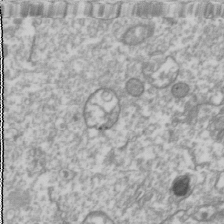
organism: Drosophila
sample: Cell division; meiosis; drosophila spermatocytes